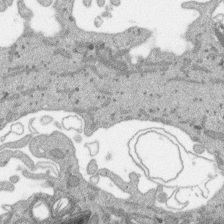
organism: Human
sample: Lung epithelial cells infected with SARS-CoV-2